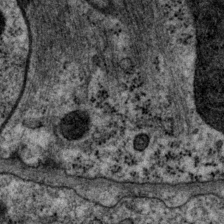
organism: P. pacificus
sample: Pharynx